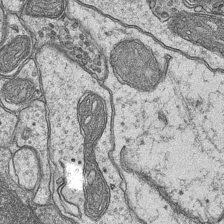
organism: Mouse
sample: CA1 Hippocampus